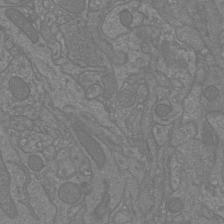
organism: Mouse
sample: Cortical neurons